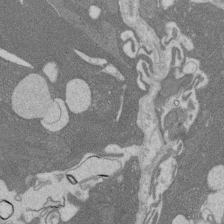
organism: Rat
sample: Salivary granule